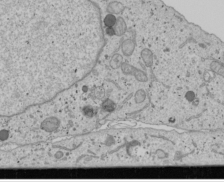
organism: Human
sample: Mitochondria in U2OS cells